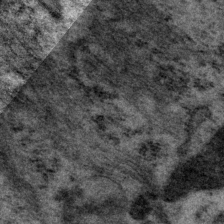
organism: P. pacificus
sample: Pharynx